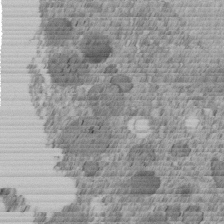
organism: C. elegans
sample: C. elegans embryo early stage